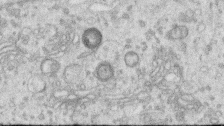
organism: Human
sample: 1205lu cells